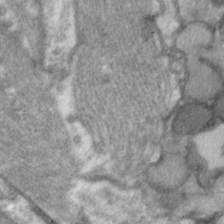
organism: C. elegans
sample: Pharynx